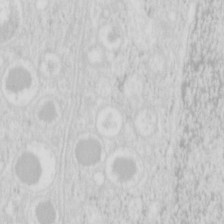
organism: Mouse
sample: Pancreas